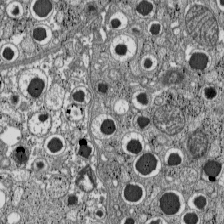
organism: C57BL Mouse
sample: Pancreatic islet